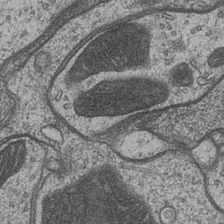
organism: Drosophila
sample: Optic medulla